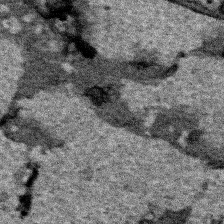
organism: Human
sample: Mitochondria in HCT116 cells